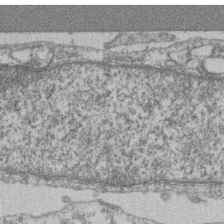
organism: Mouse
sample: T cell stromal cell synapse